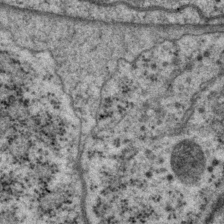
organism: P. pacificus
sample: Pharynx